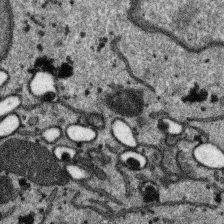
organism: Human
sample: Lung epithelial cells infected with SARS-CoV-2